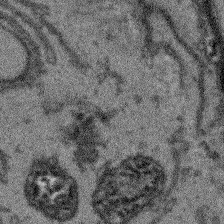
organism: Arabidopsis thaliana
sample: Root tip